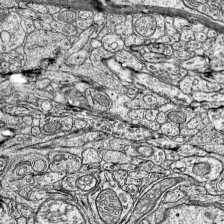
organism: Mouse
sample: Visual Cortex